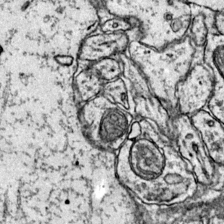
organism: Mouse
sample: Primary visual cortex